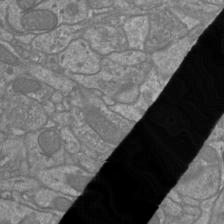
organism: Mouse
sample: Cortical neurons